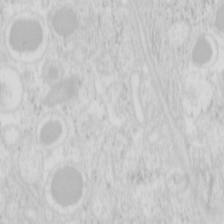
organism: Mouse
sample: Pancreas